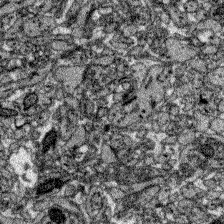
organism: Zebrafish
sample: Larval olfactory bulb